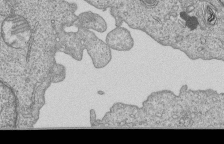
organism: Human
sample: MDA-MB-231 cells